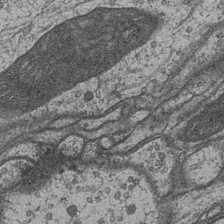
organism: Drosophila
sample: Optic medulla